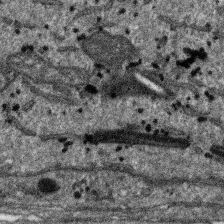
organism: Human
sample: Lung epithelial cells infected with SARS-CoV-2